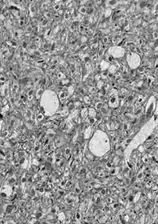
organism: Drosophila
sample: Optic lobe